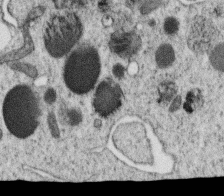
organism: C. elegans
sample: C. elegans oocyte; sperm cells